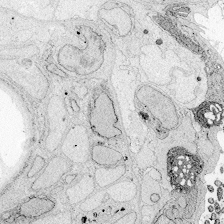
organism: Zebrafish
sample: Whole-Brain